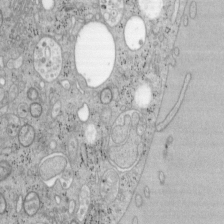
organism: Mouse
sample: OT-I killer T cells with ID8 ovarian cancer cells